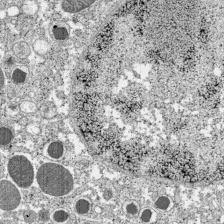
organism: C57BL Mouse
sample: Pancreatic islet